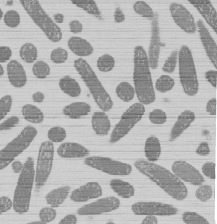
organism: E. coli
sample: Bacterial nucleoid